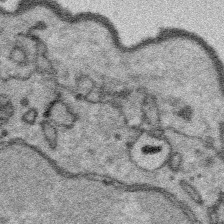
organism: Platynereis dumerilii